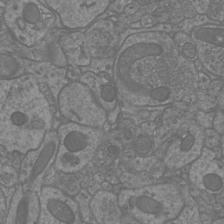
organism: Mouse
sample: Cortical neurons